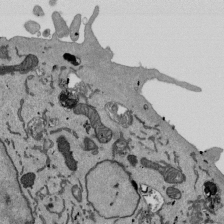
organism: Mouse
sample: ED-1 cell nuclei; centrioles